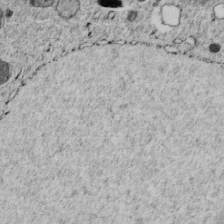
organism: C. elegans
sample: C. elegans embryo early stage